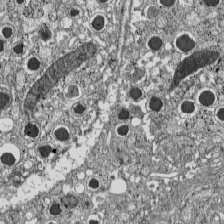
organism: C57BL Mouse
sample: Pancreatic islet